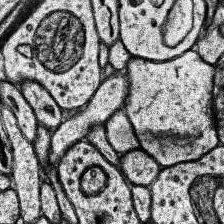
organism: Human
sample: Temporal Lobe